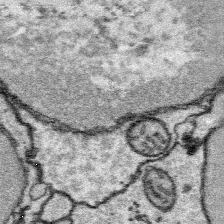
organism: Platynereis dumerilii